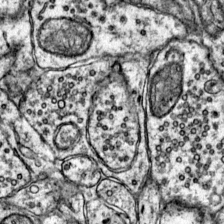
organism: Mouse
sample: Primary visual cortex